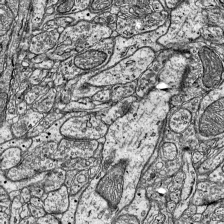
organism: Mouse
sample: Visual Cortex